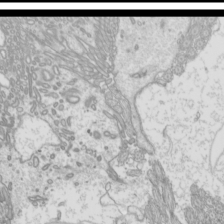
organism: Mouse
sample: Cilia; mouse epididymis